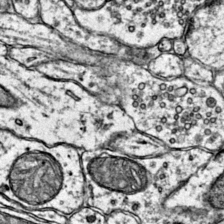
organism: Mouse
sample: Primary visual cortex